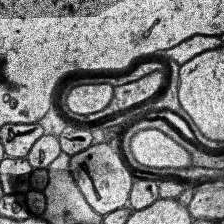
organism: Human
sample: Temporal Lobe